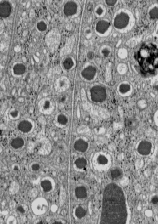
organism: C57BL Mouse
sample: Pancreatic islet